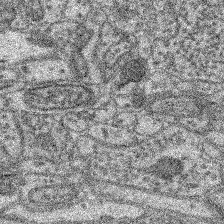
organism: Mouse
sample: Retina